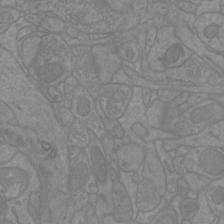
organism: Mouse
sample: Cortical neurons